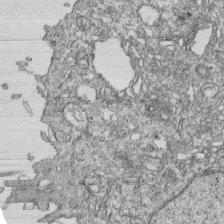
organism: Human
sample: HeLa cell HIV synapse